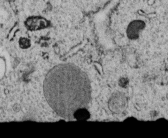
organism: C. elegans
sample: C. elegans embryo early stage